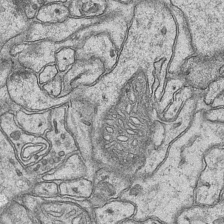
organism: Mouse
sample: CA1 Hippocampus